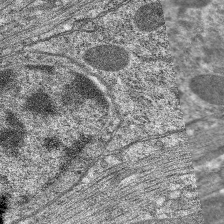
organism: C. elegans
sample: Pharynx